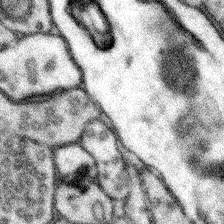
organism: Mouse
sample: Somatosensory cortex neuropil